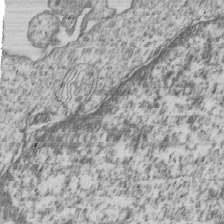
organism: Human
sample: MDA-MB-231 cells